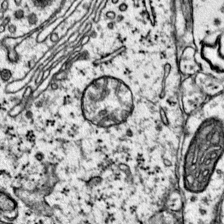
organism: Mouse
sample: Primary visual cortex